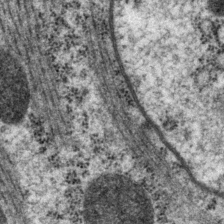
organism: P. pacificus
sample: Pharynx